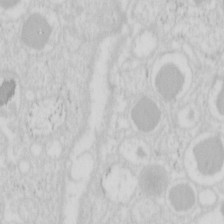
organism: Mouse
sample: Pancreas